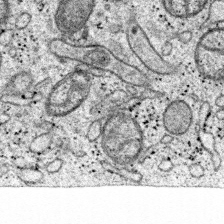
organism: Human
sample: HeLa cells